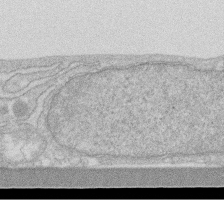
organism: Human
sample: Fibroblast cells